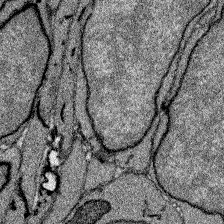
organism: Zebrafish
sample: Larval olfactory bulb